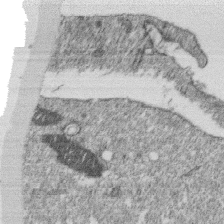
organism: African green monkey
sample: Vero E6 cells infected with SARS-CoV-2